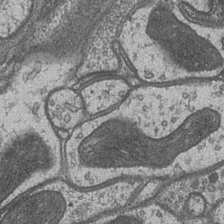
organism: Drosophila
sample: Optic medulla